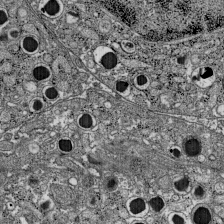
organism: C57BL Mouse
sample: Pancreatic islet